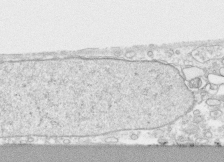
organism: Human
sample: CRL-1474